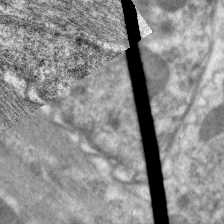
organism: C. elegans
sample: Pharynx